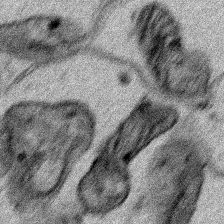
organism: Human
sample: Mitochondria in HCT116 cells